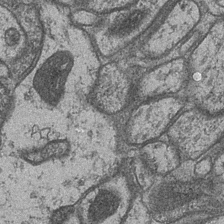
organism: Drosophila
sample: Optic medulla